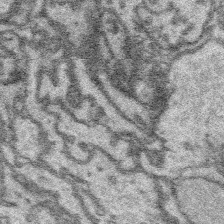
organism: Platynereis dumerilii